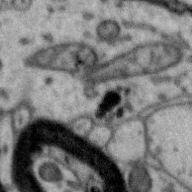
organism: Zebra finch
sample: Brain